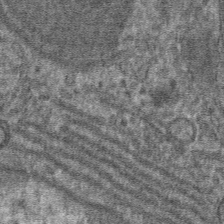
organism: Mouse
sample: Mouse hepatocytes